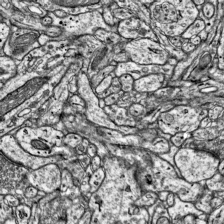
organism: Mouse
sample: Visual Cortex